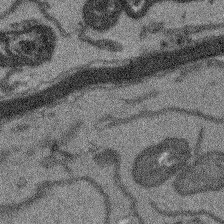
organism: Arabidopsis thaliana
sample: Root tip